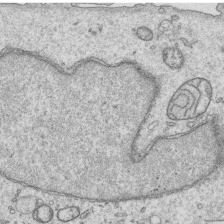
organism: Human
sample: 1205lu cells